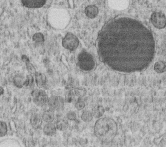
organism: C. elegans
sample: C. elegans embryo early stage